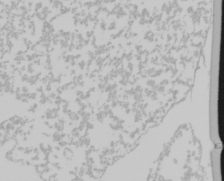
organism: Mouse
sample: Cancer cell death in ED-1 cells